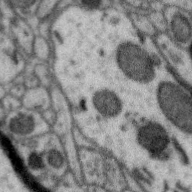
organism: Zebra finch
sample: Brain